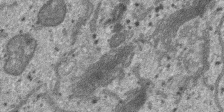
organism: Human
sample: Lung epithelial cells infected with SARS-CoV-2